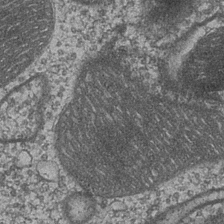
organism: Drosophila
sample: Optic medulla